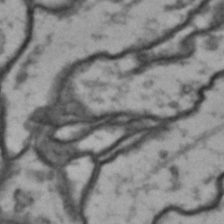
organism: Drosophila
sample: Brain